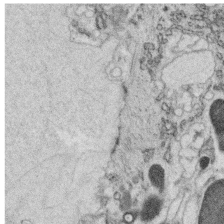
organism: C. elegans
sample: C. elegans oocyte; sperm cells